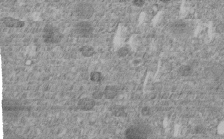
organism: C. elegans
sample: C. elegans embryo early stage